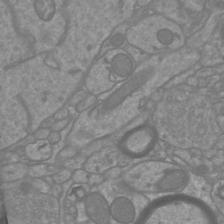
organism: Mouse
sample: Cortical neurons